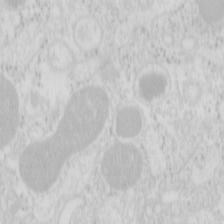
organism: Mouse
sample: Pancreas